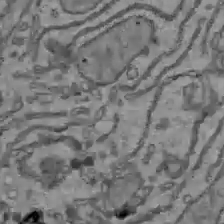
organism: C57BL Mouse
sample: Liver